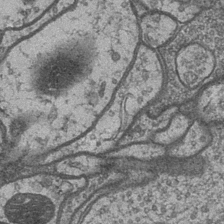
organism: Drosophila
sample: Optic medulla